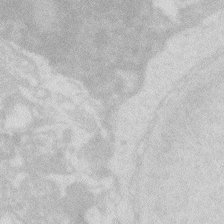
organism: Zebrafish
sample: Macrophage